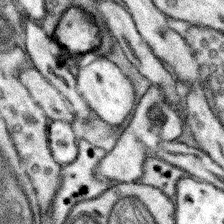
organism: Mouse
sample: Somatosensory cortex neuropil